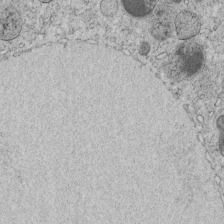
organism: C. elegans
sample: C. elegans embryo early stage